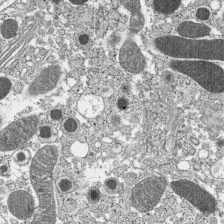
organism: C57BL Mouse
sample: Pancreatic islet